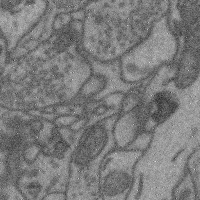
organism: Mouse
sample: Cerebral cortex